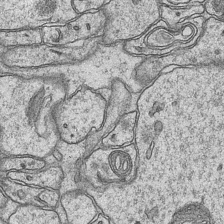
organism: Mouse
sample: CA1 Hippocampus